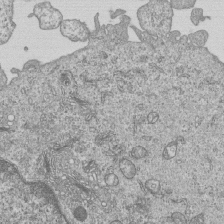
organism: Human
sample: MDA-MB-231 cells